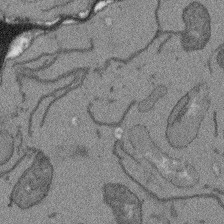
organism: Arabidopsis thaliana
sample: Root tip